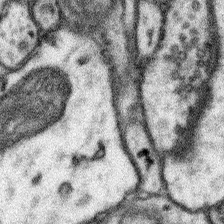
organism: Mouse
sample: Somatosensory cortex neuropil